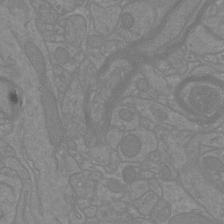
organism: Mouse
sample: Cortical neurons